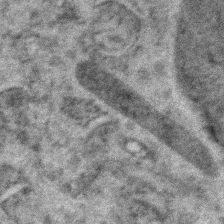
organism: Zebrafish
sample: Zebrafish embryo